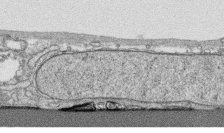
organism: Human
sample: CRL-1474